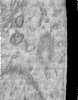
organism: Human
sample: Centriole in RPE cells